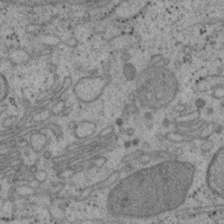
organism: Human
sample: HeLa cells